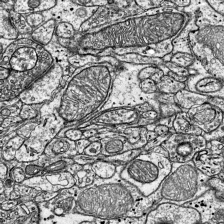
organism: Mouse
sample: Visual Cortex